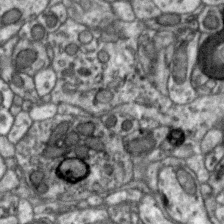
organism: Zebra finch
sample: Brain